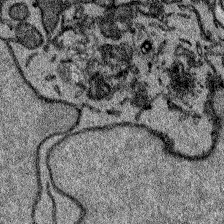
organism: Zebrafish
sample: Larval olfactory bulb